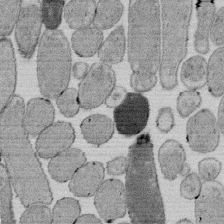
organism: E. coli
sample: Bacterial nucleoid